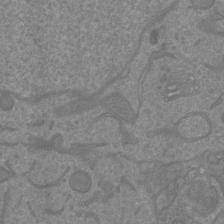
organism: Mouse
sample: Cortical neurons